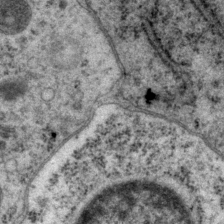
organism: P. pacificus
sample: Pharynx